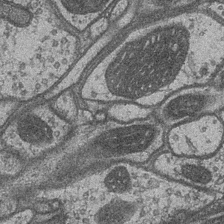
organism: Drosophila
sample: Optic medulla